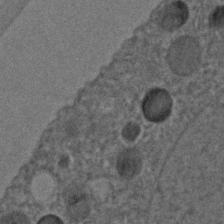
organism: C. elegans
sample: C. elegans embryo